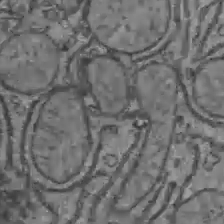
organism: C57BL Mouse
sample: Liver